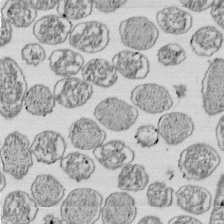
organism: E. coli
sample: Bacterial nucleoid